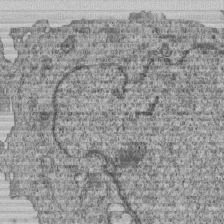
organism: Human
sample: MDA-MB-231 cells